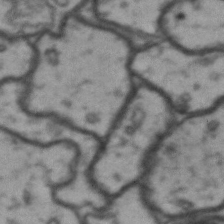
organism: Drosophila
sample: Brain